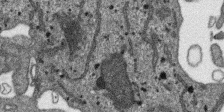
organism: Human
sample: Lung epithelial cells infected with SARS-CoV-2